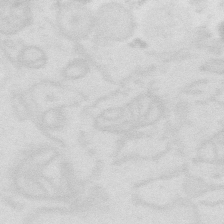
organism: Human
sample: HeLa cells